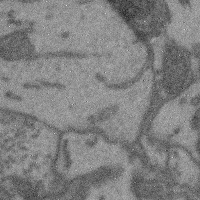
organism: Mouse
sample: Cerebral cortex